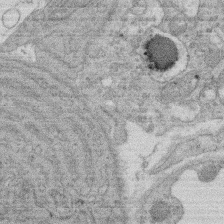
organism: Rat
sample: Salivary granule